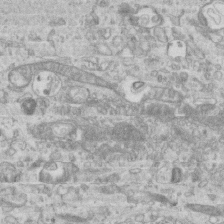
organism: Mouse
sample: Centriole in ependymal cells